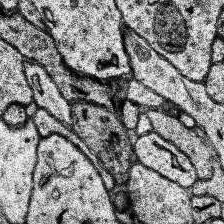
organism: Human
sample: Temporal Lobe